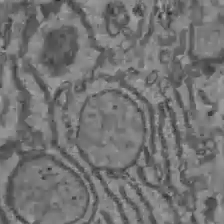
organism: C57BL Mouse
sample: Liver